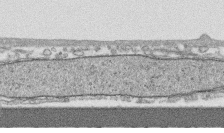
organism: Human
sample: CRL-1474